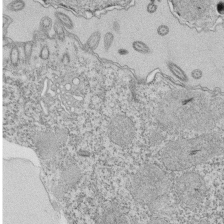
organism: Tetrahymena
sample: Cilia in tetrahymena